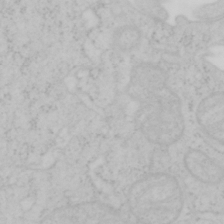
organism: Mouse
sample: OT-I killer T cells with ID8 ovarian cancer cells